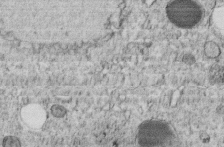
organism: C. elegans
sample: C. elegans embryo early stage